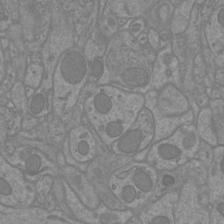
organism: Mouse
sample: Cortical neurons